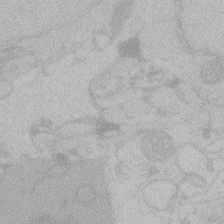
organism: Zebrafish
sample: Macrophage infected with Toxoplasma gondii